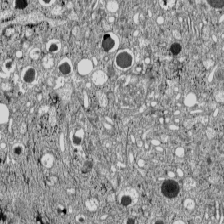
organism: C57BL Mouse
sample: Pancreatic islet